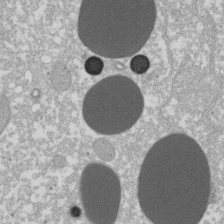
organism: Xenopus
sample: Cilia; centrioles in frog embryo cells